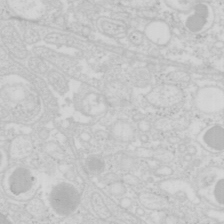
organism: Mouse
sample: Pancreas